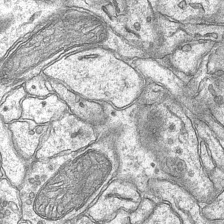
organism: Mouse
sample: CA1 Hippocampus